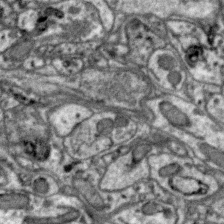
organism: Zebra finch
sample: Brain